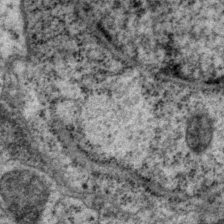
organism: P. pacificus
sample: Pharynx